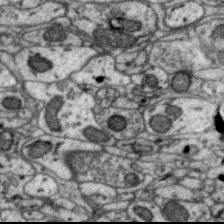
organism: Zebra finch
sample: Brain